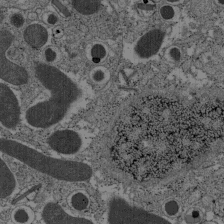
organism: C57BL Mouse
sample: Pancreatic islet